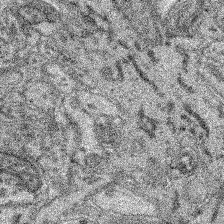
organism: Mouse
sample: Retina